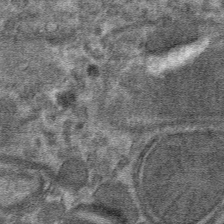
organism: Mouse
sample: Mouse hepatocytes